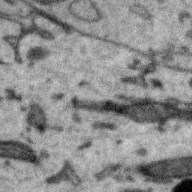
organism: Zebra finch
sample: Brain